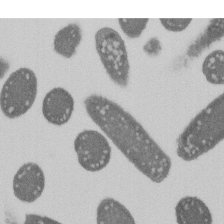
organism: E. coli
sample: Bacterial nucleoid